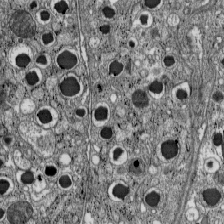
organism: C57BL Mouse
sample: Pancreatic islet